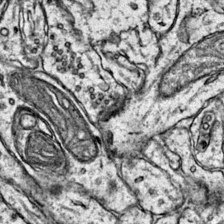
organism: Mouse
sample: Primary visual cortex